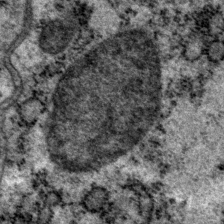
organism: P. pacificus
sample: Pharynx